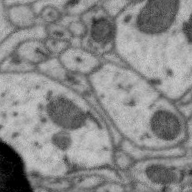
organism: Zebra finch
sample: Brain